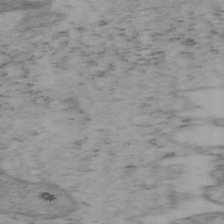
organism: Mouse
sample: OT-I killer T cells with ID8 ovarian cancer cells